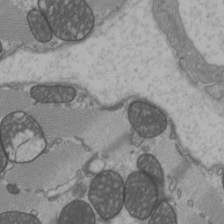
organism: C57BL Mouse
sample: Heart